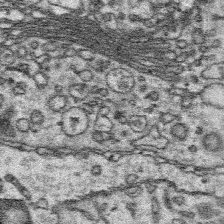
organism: Platynereis dumerilii